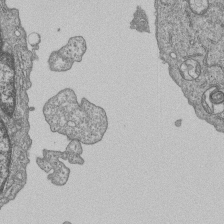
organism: Human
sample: MDA-MB-231 cells